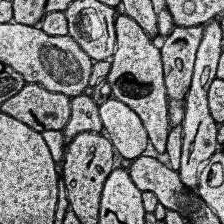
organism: Human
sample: Temporal Lobe